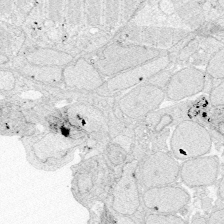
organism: Zebrafish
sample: Whole-Brain